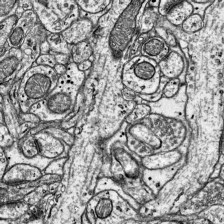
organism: Mouse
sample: Visual Cortex